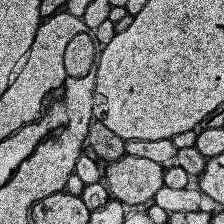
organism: Human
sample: Temporal Lobe